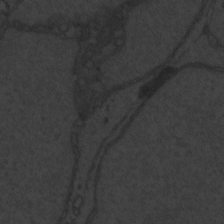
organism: Zebrafish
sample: Macrophage infected with Toxoplasma gondii